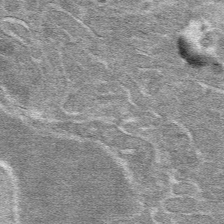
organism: Mouse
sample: Mouse hepatocytes